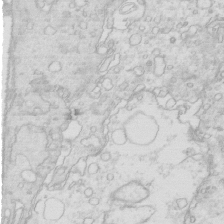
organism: Mouse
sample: Multiciliated cells